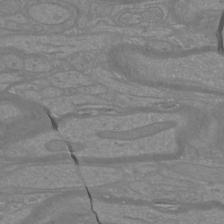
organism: Mouse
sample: Cortical neurons